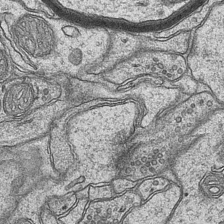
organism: Mouse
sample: CA1 Hippocampus